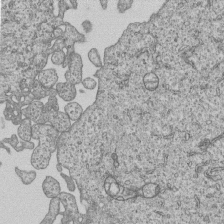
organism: Human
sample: MDA-MB-231 cells